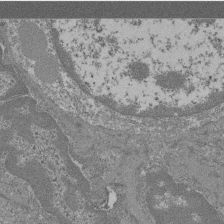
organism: Mouse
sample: Glomerulus